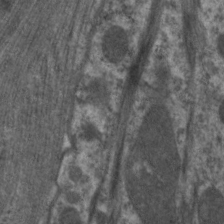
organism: C. elegans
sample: Pharynx